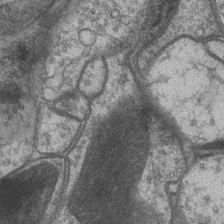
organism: Drosophila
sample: Optic medulla